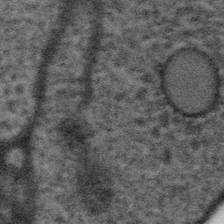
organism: Gemmata obscuriglobus